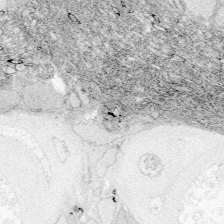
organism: Zebrafish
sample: Whole-Brain